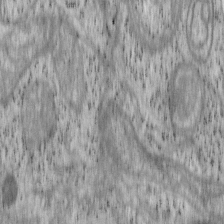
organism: Human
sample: HeLa cells